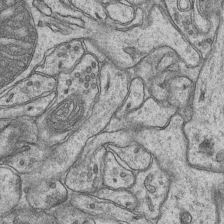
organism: Mouse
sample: CA1 Hippocampus